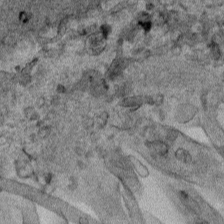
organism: Human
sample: Mitochondria in HCT116 cells